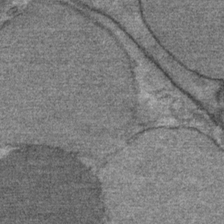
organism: Mouse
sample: Mouse Salivary gland